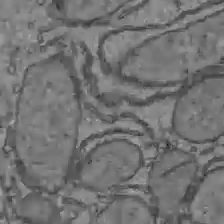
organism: C57BL Mouse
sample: Liver